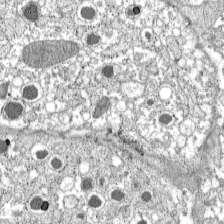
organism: C57BL Mouse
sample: Pancreatic islet